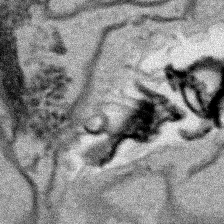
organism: Human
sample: Mitochondria in HCT116 cells